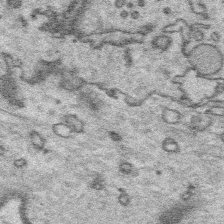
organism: Platynereis dumerilii